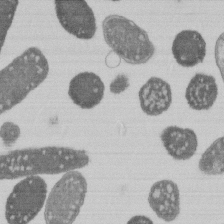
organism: E. coli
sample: Bacterial nucleoid